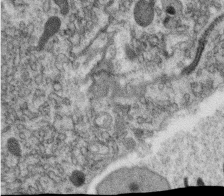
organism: C. elegans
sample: C. elegans oocyte; sperm cells